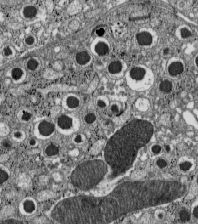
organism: C57BL Mouse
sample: Pancreatic islet